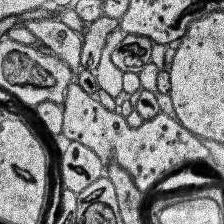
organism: Human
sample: Temporal Lobe